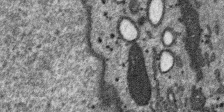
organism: Human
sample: Lung epithelial cells infected with SARS-CoV-2